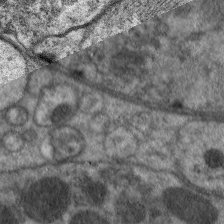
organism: C. elegans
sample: Pharynx